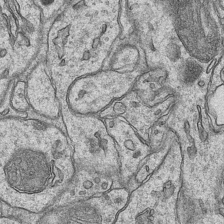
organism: Mouse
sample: CA1 Hippocampus